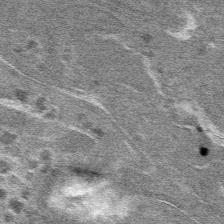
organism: Mouse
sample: Mouse hepatocytes